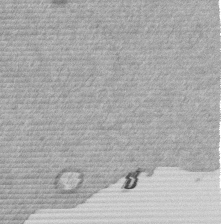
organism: Mouse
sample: Dividing mouse embryo 1 cell stage